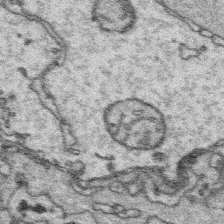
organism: Platynereis dumerilii